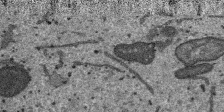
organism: Human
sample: Lung epithelial cells infected with SARS-CoV-2